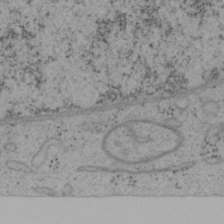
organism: Human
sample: HeLa cells